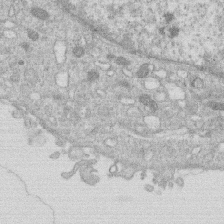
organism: Human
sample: Macrophage cells